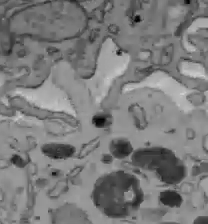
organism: C57BL Mouse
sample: Liver